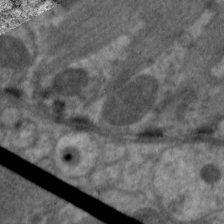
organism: C. elegans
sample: Pharynx